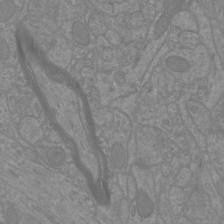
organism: Mouse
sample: Cortical neurons